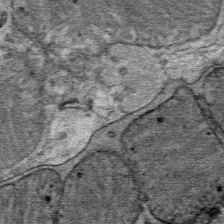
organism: Mouse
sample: Mouse Salivary gland